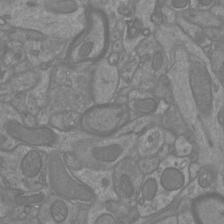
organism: Mouse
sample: Cortical neurons